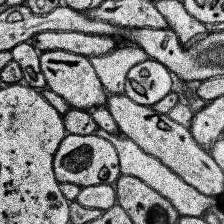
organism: Human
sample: Temporal Lobe